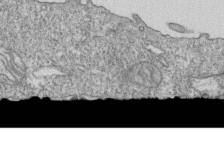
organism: Human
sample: HeLa cell HIV synapse